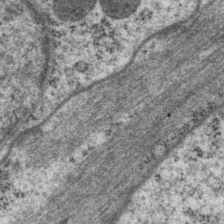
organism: P. pacificus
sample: Pharynx